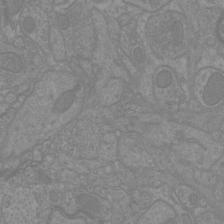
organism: Mouse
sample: Cortical neurons